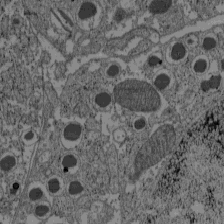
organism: C57BL Mouse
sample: Pancreatic islet